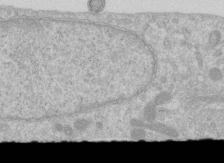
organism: Human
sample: Centriole in RPE cells